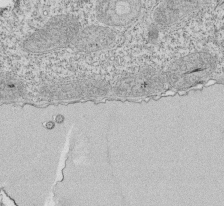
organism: Tetrahymena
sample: Cilia in tetrahymena